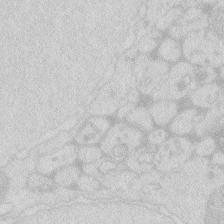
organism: Zebrafish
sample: Macrophage